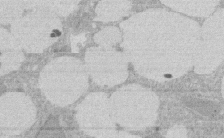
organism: Rat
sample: Salivary granule